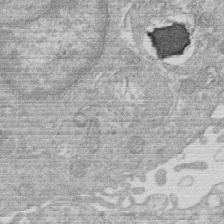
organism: Human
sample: Macrophage cells